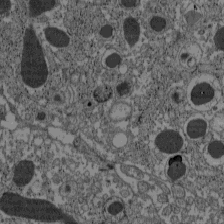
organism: C57BL Mouse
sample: Pancreatic islet